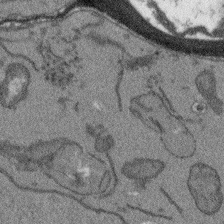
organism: Arabidopsis thaliana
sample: Root tip